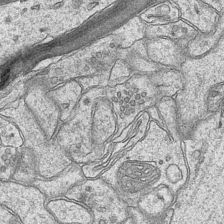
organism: Mouse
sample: CA1 Hippocampus